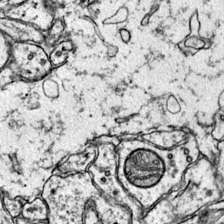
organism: Mouse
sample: Primary visual cortex